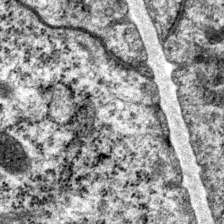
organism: P. pacificus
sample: Pharynx